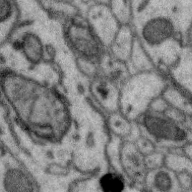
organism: Zebra finch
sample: Brain